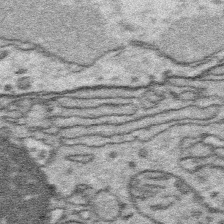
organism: Platynereis dumerilii